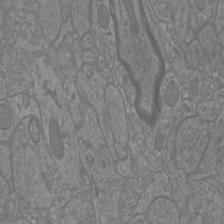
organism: Mouse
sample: Cortical neurons